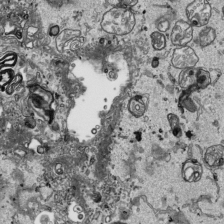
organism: Human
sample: Mitochondria in HCT116 cells